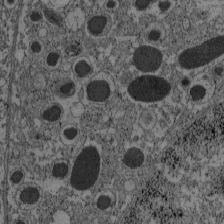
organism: C57BL Mouse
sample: Pancreatic islet